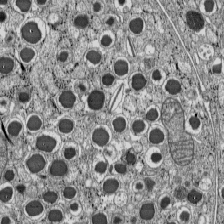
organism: C57BL Mouse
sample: Pancreatic islet